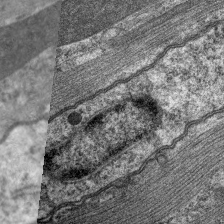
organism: C. elegans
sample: Pharynx